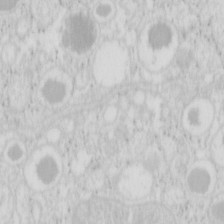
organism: Mouse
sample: Pancreas